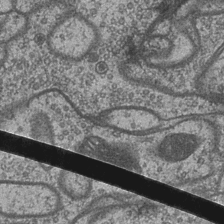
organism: Drosophila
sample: Optic medulla